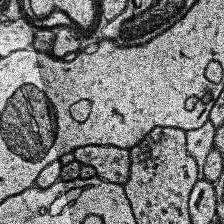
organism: Human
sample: Temporal Lobe